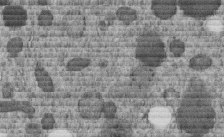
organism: C. elegans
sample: C. elegans embryo early stage